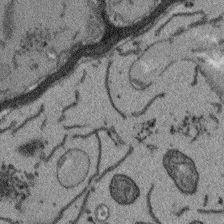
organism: Arabidopsis thaliana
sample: Root tip